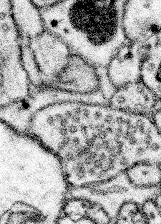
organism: Mouse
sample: Somatosensory cortex neuropil